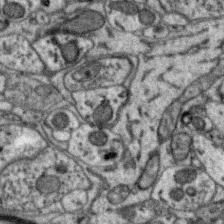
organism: Zebra finch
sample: Brain